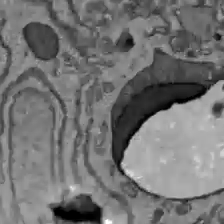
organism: C57BL Mouse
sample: Liver